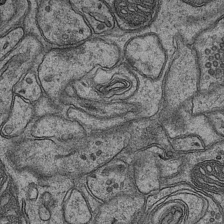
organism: Mouse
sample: CA1 Hippocampus